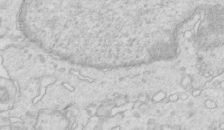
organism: Mouse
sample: Multiciliated cells